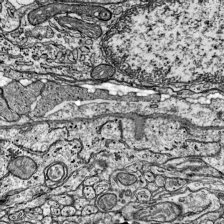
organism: Mouse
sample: Visual Cortex